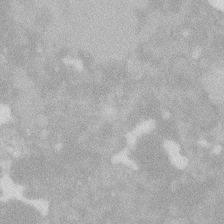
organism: Zebrafish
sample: Macrophage